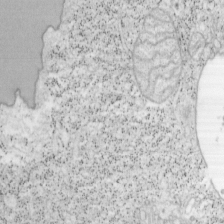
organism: Mouse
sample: OT-I killer T cells with ID8 ovarian cancer cells